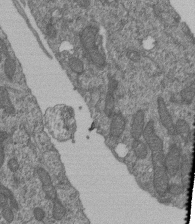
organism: Human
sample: Retinal organoid Rod and Cone cells